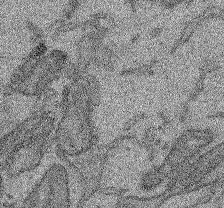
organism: Human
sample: HeLa cells